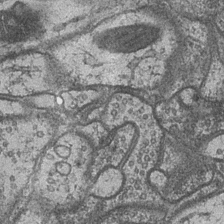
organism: Drosophila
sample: Optic medulla